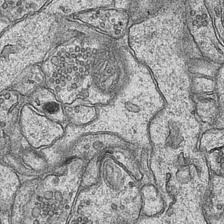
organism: Mouse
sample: CA1 Hippocampus